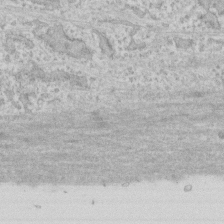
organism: Human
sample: CRL-1474